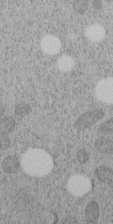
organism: C. elegans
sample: C. elegans embryo early stage